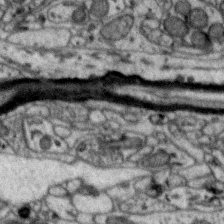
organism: Zebra finch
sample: Brain